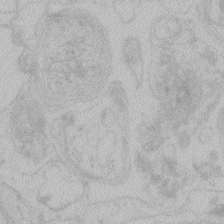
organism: Zebrafish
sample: Macrophage infected with Toxoplasma gondii